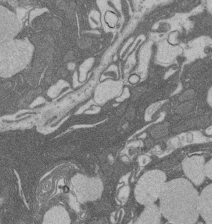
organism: Rat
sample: Salivary granule